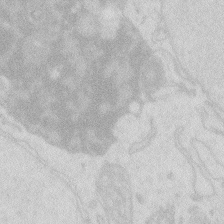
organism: Zebrafish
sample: Macrophage